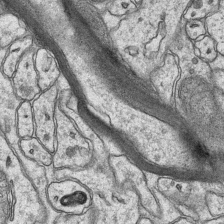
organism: Mouse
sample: CA1 Hippocampus